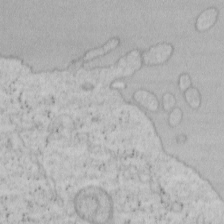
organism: Human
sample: HeLa cells